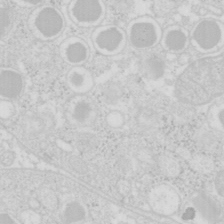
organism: Mouse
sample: Pancreas